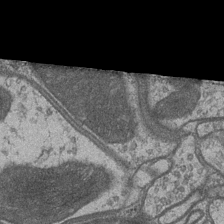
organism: Drosophila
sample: Optic medulla